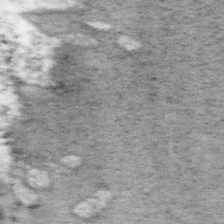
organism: Mouse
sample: OT-I killer T cells with ID8 ovarian cancer cells